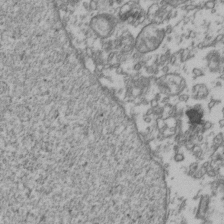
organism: Human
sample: Activated Jurkat CD4+ T cells